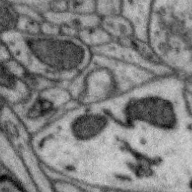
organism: Zebra finch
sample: Brain